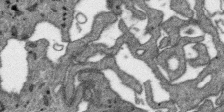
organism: Human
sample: Lung epithelial cells, uninfected (mock) control